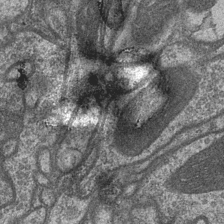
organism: Drosophila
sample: Optic medulla